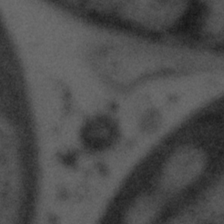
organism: Tuwongella immobilis